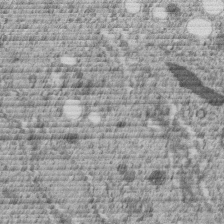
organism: C. elegans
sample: C. elegans embryo early stage